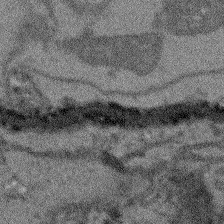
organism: Arabidopsis thaliana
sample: Root tip